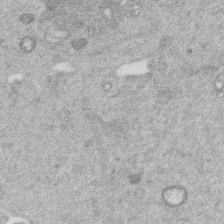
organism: Mouse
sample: Dividing mouse embryo 1 cell stage